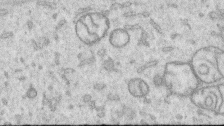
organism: Human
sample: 1205lu cells